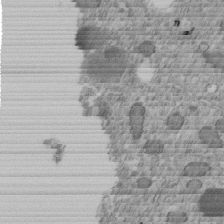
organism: C. elegans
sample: C. elegans embryo early stage